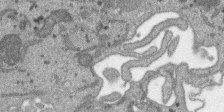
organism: Human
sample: Lung epithelial cells infected with SARS-CoV-2